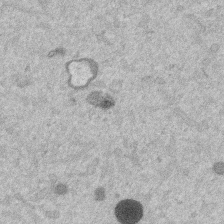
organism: Mouse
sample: Dividing mouse embryo 1 cell stage